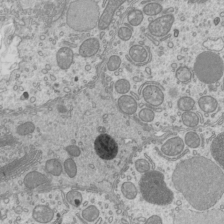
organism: Mouse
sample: Cilia; mouse epididymis